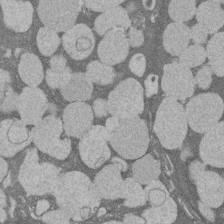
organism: Rat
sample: Salivary granule